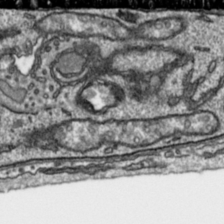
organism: Toxoplasma gondii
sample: Parasites in a vacuole inside a host cell